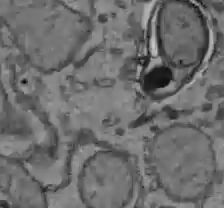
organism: C57BL Mouse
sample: Liver